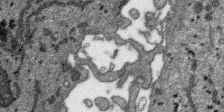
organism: Human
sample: Lung epithelial cells infected with SARS-CoV-2